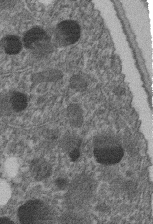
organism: C. elegans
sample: C. elegans embryo early stage